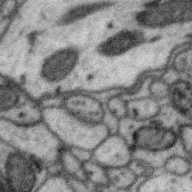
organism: Zebra finch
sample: Brain